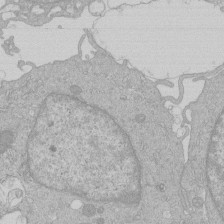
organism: Human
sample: Macrophage cells